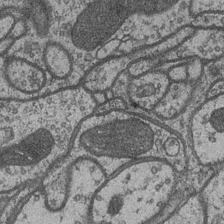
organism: Drosophila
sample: Optic medulla